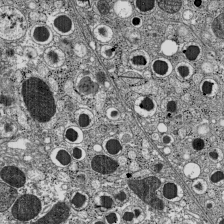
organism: C57BL Mouse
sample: Pancreatic islet